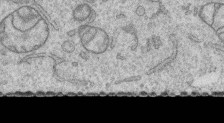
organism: Human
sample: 1205lu cells